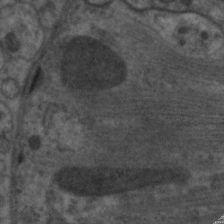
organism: C. elegans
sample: Pharynx